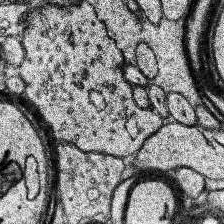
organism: Human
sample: Temporal Lobe